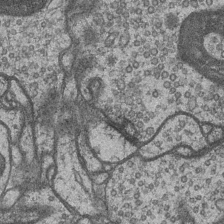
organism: Drosophila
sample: Optic medulla